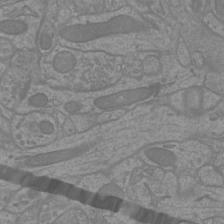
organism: Mouse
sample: Cortical neurons